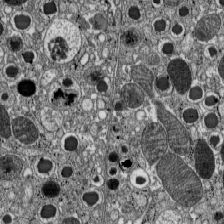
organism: C57BL Mouse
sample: Pancreatic islet